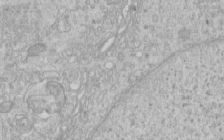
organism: Human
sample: Centriole in RPE cells